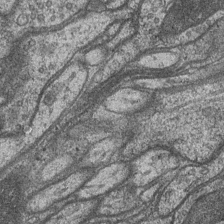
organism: Drosophila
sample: Optic medulla